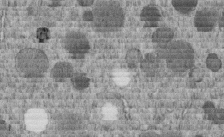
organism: C. elegans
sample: C. elegans embryo early stage